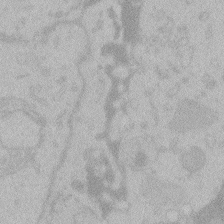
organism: Zebrafish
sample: Macrophage infected with Toxoplasma gondii